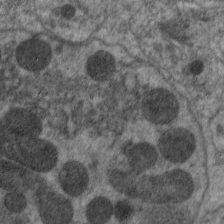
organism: C. elegans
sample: Pharynx